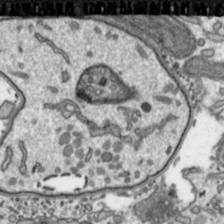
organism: Toxoplasma gondii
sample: Parasites in a vacuole inside a host cell